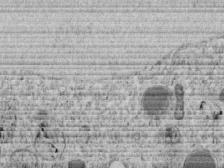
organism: C. elegans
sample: C. elegans embryo early stage